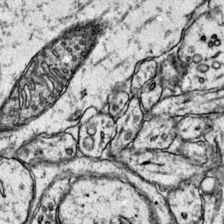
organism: Mouse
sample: Primary visual cortex